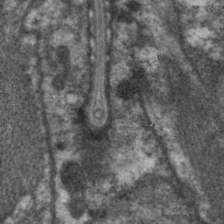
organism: C. elegans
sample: Pharynx